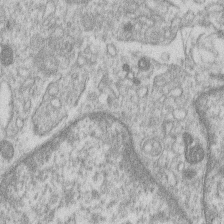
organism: Human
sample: Macrophage cells